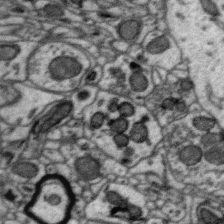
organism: Zebra finch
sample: Brain